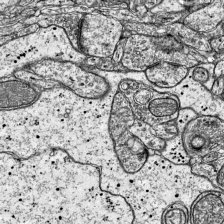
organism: Mouse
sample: Visual Cortex